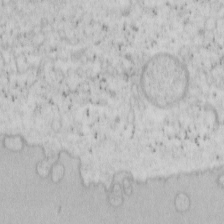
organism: Human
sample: HeLa cells